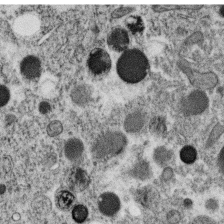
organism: C. elegans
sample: C. elegans oocyte; sperm cells